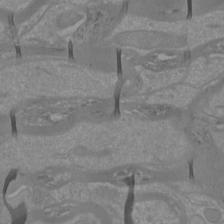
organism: Mouse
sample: Cortical neurons